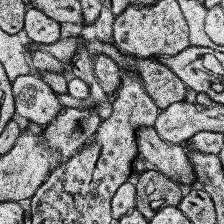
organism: Human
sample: Temporal Lobe